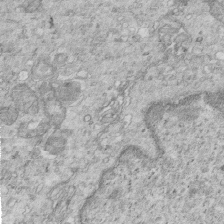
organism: Mouse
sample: Multiciliated cells